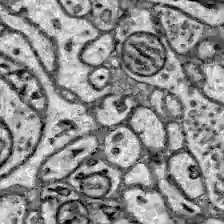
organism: Zebrafish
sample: Brain